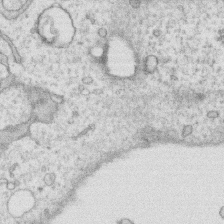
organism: Human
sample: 1205lu cells